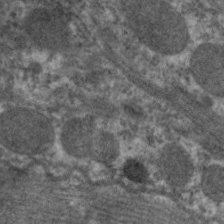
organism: C. elegans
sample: Pharynx